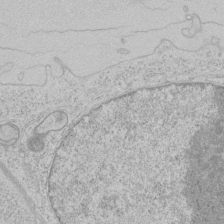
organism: Human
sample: Mitochondria in HCT116 cells